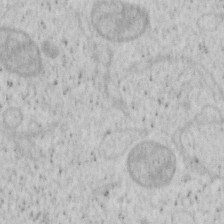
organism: Human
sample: HeLa cells